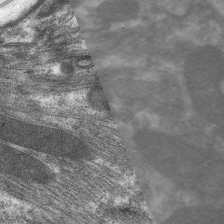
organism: C. elegans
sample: Pharynx